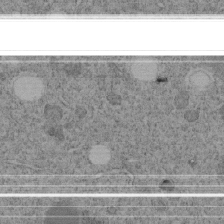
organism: C. elegans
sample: C. elegans embryo early stage